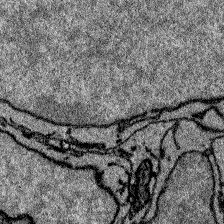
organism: Zebrafish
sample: Larval olfactory bulb